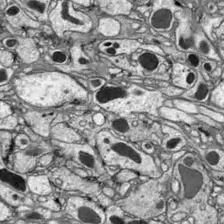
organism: Drosophila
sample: Optic lobe